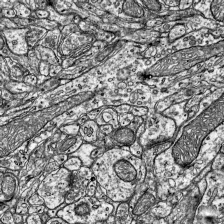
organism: Mouse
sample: Visual Cortex